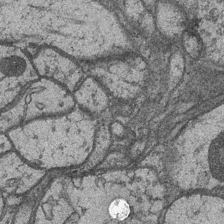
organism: Drosophila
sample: Optic medulla